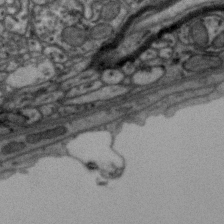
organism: Zebra finch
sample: Brain